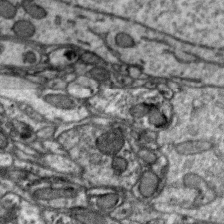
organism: Zebra finch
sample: Brain